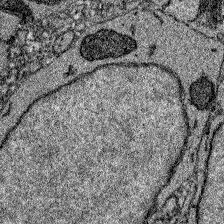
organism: Zebrafish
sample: Larval olfactory bulb